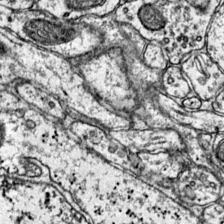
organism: Mouse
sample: Primary visual cortex